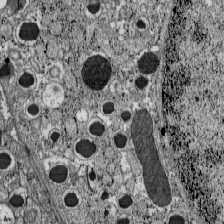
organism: C57BL Mouse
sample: Pancreatic islet